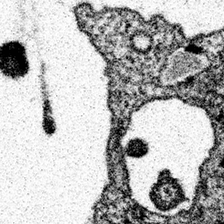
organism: Spongilla lacustris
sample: Neuroid cell